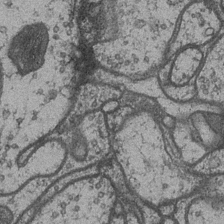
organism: Drosophila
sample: Optic medulla